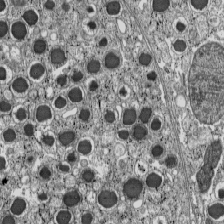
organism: C57BL Mouse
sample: Pancreatic islet